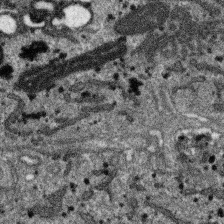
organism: Human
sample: Lung epithelial cells infected with SARS-CoV-2